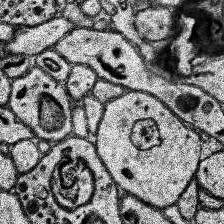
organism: Human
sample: Temporal Lobe